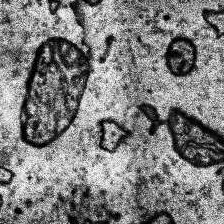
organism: Human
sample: Temporal Lobe